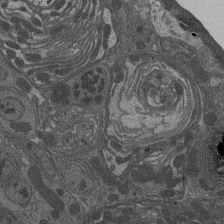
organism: Drosophila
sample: Antenna